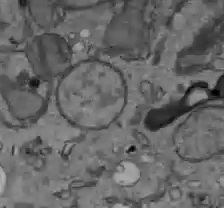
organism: C57BL Mouse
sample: Liver